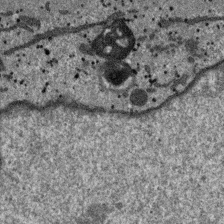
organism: Human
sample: Lung epithelial cells, uninfected (mock) control